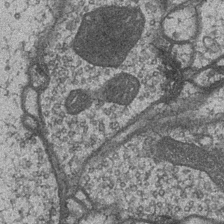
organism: Drosophila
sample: Optic medulla